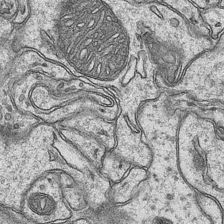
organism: Mouse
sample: CA1 Hippocampus